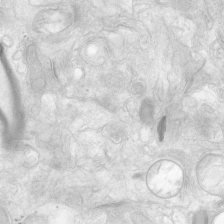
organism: Human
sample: Neocortex